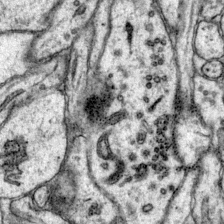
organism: Mouse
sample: Primary visual cortex